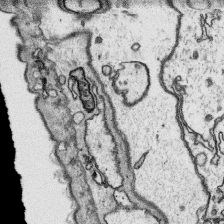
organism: Platynereis dumerilii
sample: Parapodia